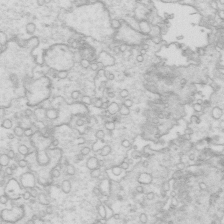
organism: Mouse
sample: Multiciliated cells